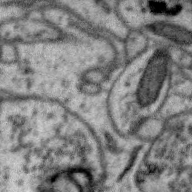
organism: Zebra finch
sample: Brain